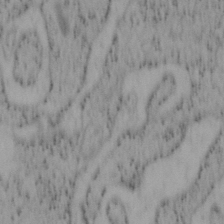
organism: Mouse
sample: OT-I killer T cells with ID8 ovarian cancer cells